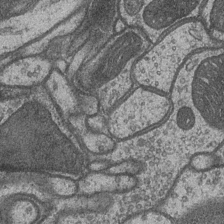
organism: Drosophila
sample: Optic medulla